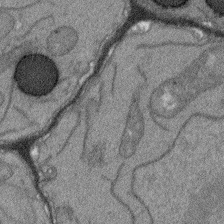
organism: Arabidopsis thaliana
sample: Root tip